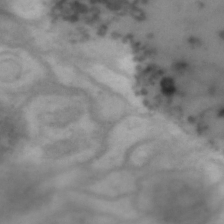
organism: Drosophila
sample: Brain